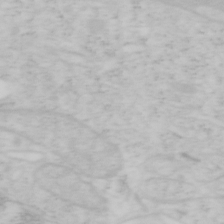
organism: Mouse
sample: OT-I killer T cells with ID8 ovarian cancer cells